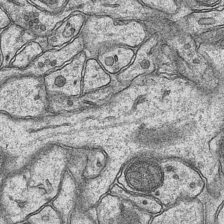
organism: Mouse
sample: CA1 Hippocampus